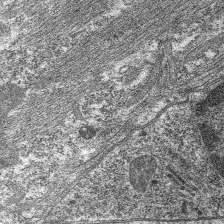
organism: C. elegans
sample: Pharynx